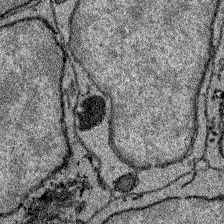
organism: Zebrafish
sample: Larval olfactory bulb